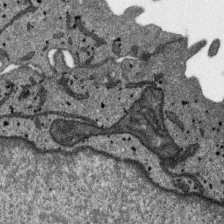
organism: Human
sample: Lung epithelial cells, uninfected (mock) control